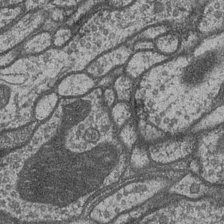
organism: Drosophila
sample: Optic medulla